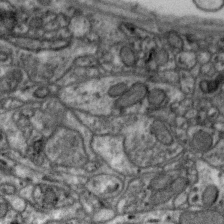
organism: Zebra finch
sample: Brain